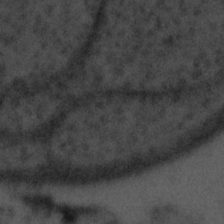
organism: Tuwongella immobilis